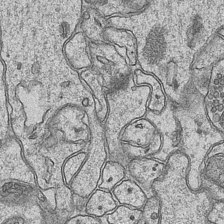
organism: Mouse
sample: CA1 Hippocampus